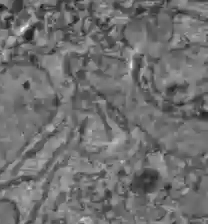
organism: C57BL Mouse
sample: Liver